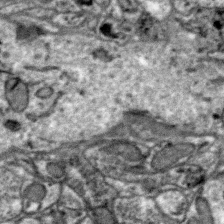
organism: Zebra finch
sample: Brain